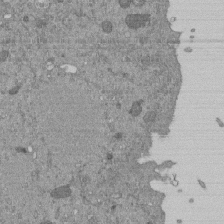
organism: Mouse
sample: ED-1 cell nuclei; centrioles